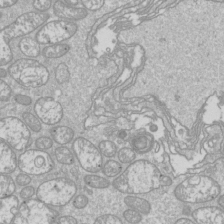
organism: Drosophila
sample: Cell division; meiosis; drosophila spermatocytes